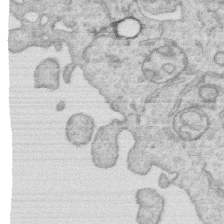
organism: Human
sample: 1205lu cells